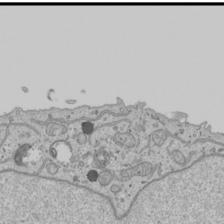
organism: Human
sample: Mitochondria in U2OS cells